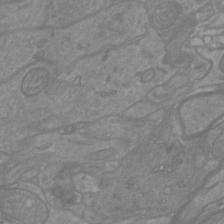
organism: Mouse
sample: Cortical neurons